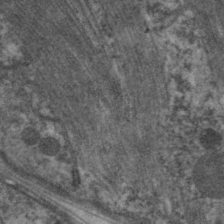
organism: C. elegans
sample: Pharynx